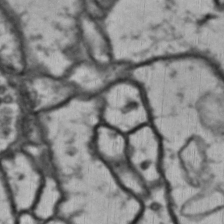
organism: Drosophila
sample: Brain